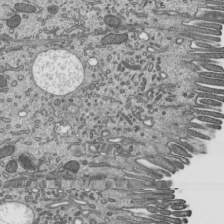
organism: Mouse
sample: Mouse epididymis efferent ductule cilia